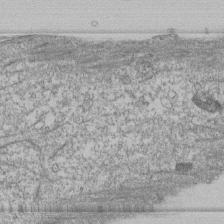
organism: Human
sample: Fibroblast cells